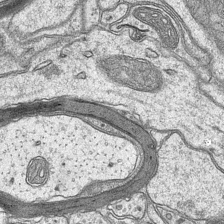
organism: Mouse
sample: CA1 Hippocampus